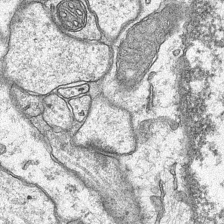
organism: Mouse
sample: CA1 Hippocampus